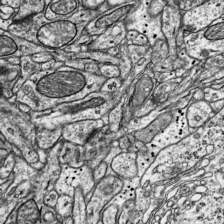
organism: Mouse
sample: Visual Cortex